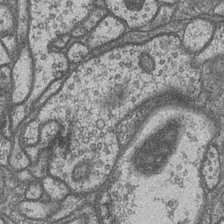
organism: Drosophila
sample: Optic medulla